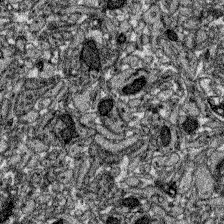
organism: Zebrafish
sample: Larval olfactory bulb